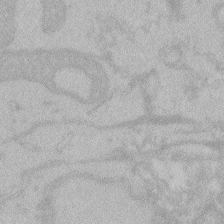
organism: Zebrafish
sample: Macrophage infected with Toxoplasma gondii